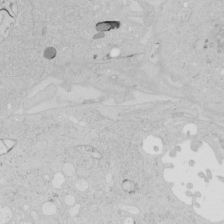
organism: Human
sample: Mitochondria in HCT116 cells